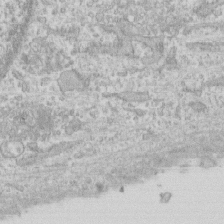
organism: Human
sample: CRL-1474